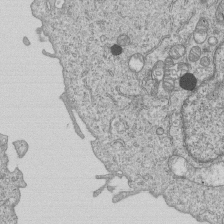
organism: Human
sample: MDA-MB-231 cells